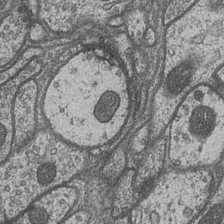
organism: Drosophila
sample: Optic medulla